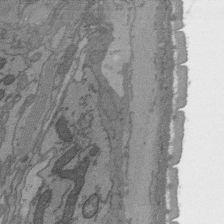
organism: C. elegans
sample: AFD neurons C. elegans